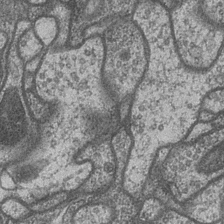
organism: Drosophila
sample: Optic medulla